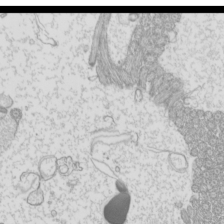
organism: Mouse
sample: Cilia; mouse epididymis